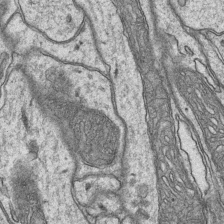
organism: Mouse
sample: CA1 Hippocampus